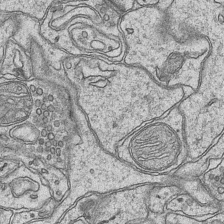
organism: Mouse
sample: CA1 Hippocampus